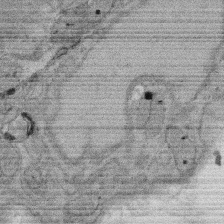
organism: Rat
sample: Salivary granule